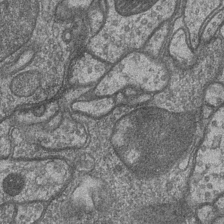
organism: Drosophila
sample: Optic medulla